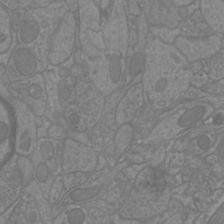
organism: Mouse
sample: Cortical neurons